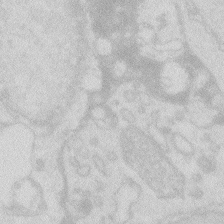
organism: Zebrafish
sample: Macrophage